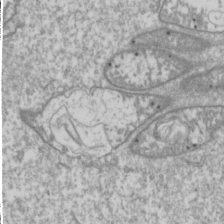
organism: Drosophila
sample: Cell division; meiosis; drosophila spermatocytes